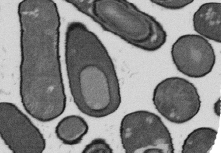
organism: B. subtilis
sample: Bacterial spore